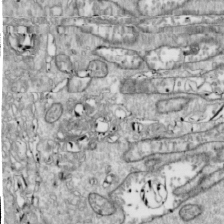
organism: Drosophila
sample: Cell division; meiosis; drosophila spermatocytes